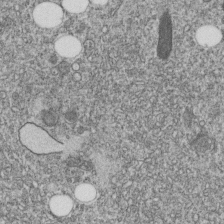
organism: C. elegans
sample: C. elegans embryo early stage